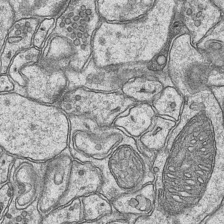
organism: Mouse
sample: CA1 Hippocampus